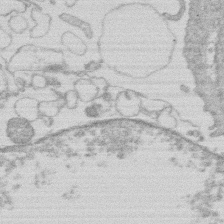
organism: Human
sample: Macrophage cells